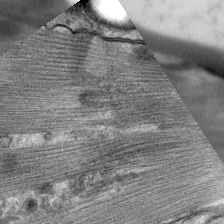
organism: C. elegans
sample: Pharynx